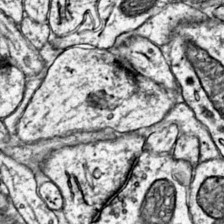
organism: Mouse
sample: Primary visual cortex